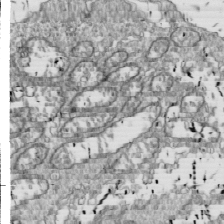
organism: Drosophila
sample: Cell division; meiosis; drosophila spermatocytes